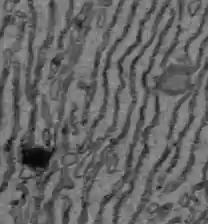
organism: C57BL Mouse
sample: Liver